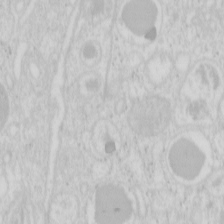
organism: Mouse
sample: Pancreas